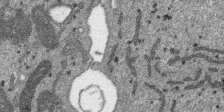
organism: Human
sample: Lung epithelial cells infected with SARS-CoV-2